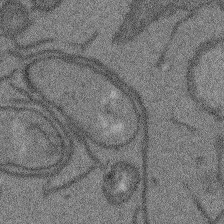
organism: Arabidopsis thaliana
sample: Root tip